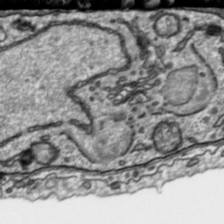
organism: Toxoplasma gondii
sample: Parasites in a vacuole inside a host cell